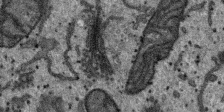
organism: Human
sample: Lung epithelial cells, uninfected (mock) control